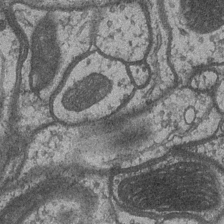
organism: Drosophila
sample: Optic medulla